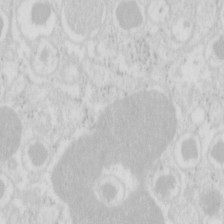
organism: Mouse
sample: Pancreas